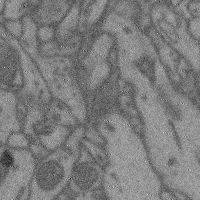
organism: Mouse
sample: Cerebral cortex